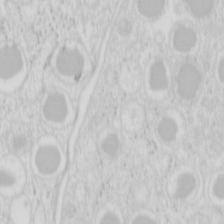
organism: Mouse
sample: Pancreas